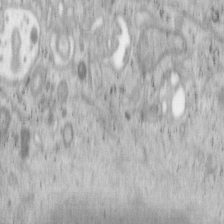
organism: Human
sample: HeLa cells